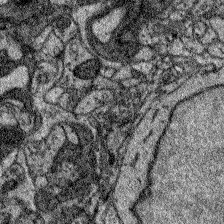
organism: Zebrafish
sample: Larval olfactory bulb